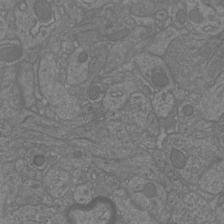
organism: Mouse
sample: Cortical neurons